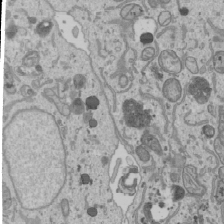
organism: Human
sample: Mitochondria in U2OS cells